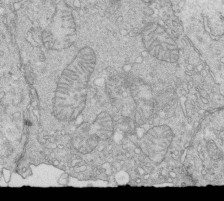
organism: Mouse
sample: Multiciliated cells